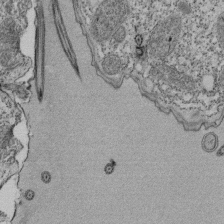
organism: Tetrahymena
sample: Cilia in tetrahymena